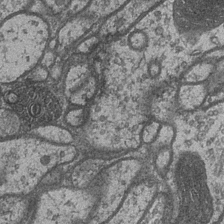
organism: Drosophila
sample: Optic medulla